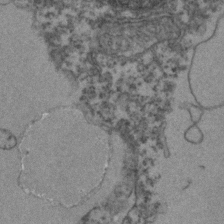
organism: Zebrafish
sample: Zebrafish embryo